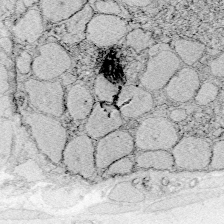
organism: Zebrafish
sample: Whole-Brain